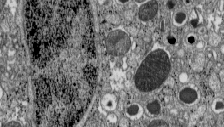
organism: C57BL Mouse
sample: Pancreatic islet